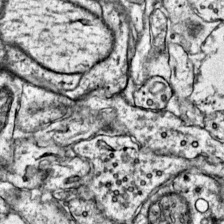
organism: Mouse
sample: Primary visual cortex